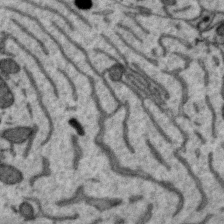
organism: Zebra finch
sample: Brain